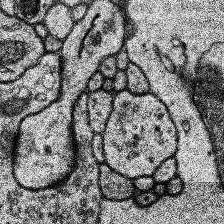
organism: Human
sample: Temporal Lobe